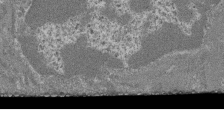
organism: Mouse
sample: Glomerulus